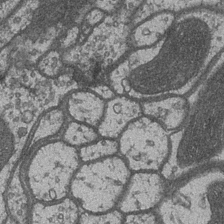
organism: Drosophila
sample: Optic medulla